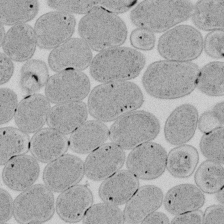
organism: E. coli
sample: Bacterial nucleoid